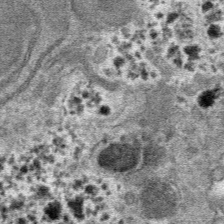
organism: Mouse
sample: Mouse hepatocytes